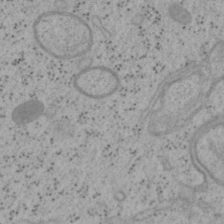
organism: Human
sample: HeLa cells